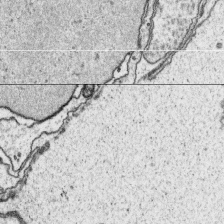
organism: Platynereis dumerilii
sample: Parapodia